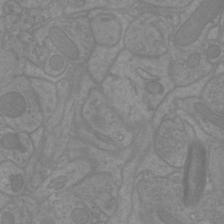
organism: Mouse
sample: Cortical neurons